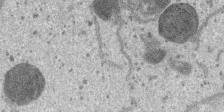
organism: Human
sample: Lung epithelial cells infected with SARS-CoV-2